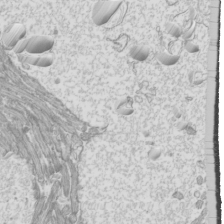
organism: Mouse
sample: Cilia; mouse epididymis